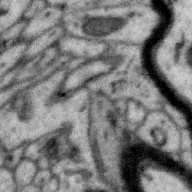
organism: Zebra finch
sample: Brain